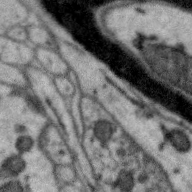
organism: Zebra finch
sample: Brain